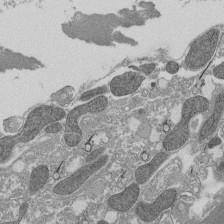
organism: Tetrahymena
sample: Cilia in tetrahymena